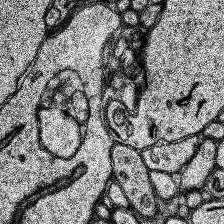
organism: Human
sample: Temporal Lobe